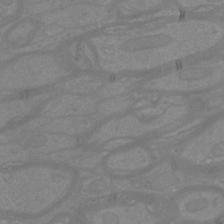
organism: Mouse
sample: Cortical neurons